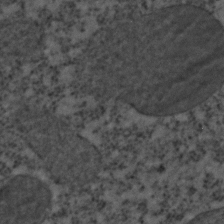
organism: C. elegans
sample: C. elegans embryo